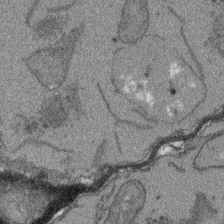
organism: Arabidopsis thaliana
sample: Root tip